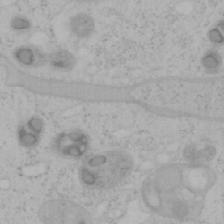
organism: Mouse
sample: OT-I killer T cells with ID8 ovarian cancer cells